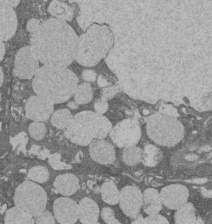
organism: Rat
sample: Salivary granule